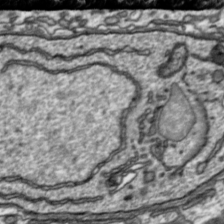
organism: Toxoplasma gondii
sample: Parasites in a vacuole inside a host cell